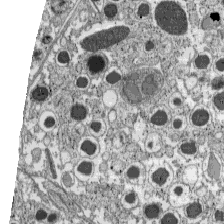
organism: C57BL Mouse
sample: Pancreatic islet